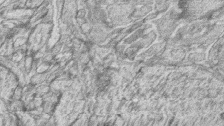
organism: Zebrafish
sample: synaptic ribbons in rod cells and cone cells